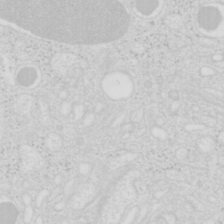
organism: Mouse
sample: Pancreas